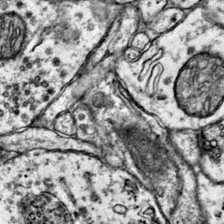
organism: Mouse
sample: Primary visual cortex